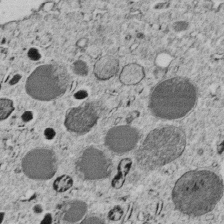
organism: C. elegans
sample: C. elegans embryo early stage